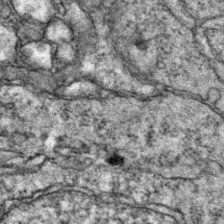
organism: Zebrafish